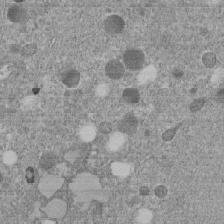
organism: C. elegans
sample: C. elegans embryo early stage